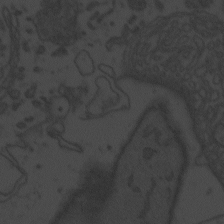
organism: Zebrafish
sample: Macrophage infected with Toxoplasma gondii